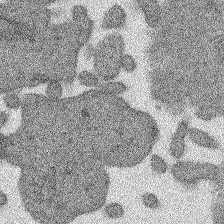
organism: Human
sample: HeLa cells